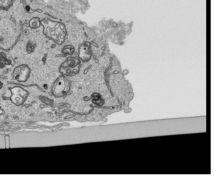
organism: Human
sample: Mitochondria in HCT116 cells